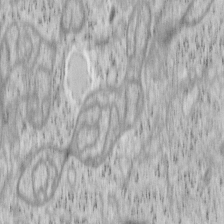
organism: Human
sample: HeLa cells